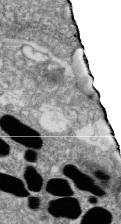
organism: Zebrafish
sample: Cilia; retinal pigment epithelium